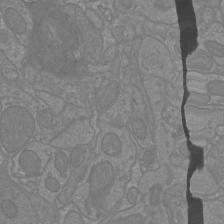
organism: Mouse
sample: Cortical neurons